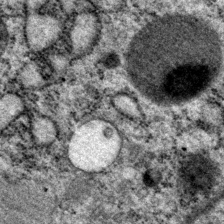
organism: P. pacificus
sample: Pharynx